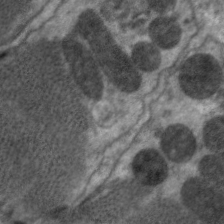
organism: C. elegans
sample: Pharynx